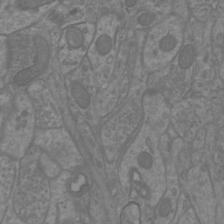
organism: Mouse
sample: Cortical neurons